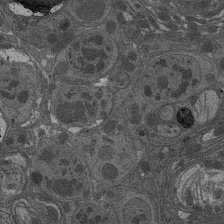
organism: Drosophila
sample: Antenna